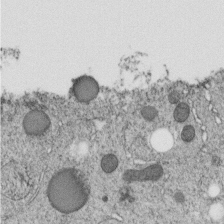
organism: C. elegans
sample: C. elegans embryo early stage